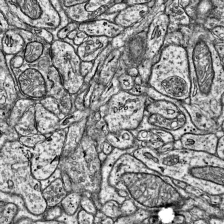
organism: Mouse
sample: Visual Cortex